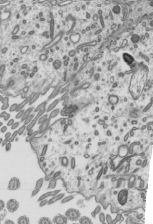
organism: Mouse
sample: Mouse epididymis efferent ductule cilia